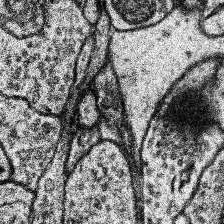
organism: Human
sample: Temporal Lobe